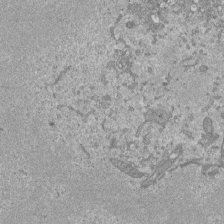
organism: Mouse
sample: ED-1 cell nuclei; centrioles